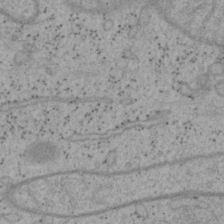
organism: Human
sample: HeLa cells